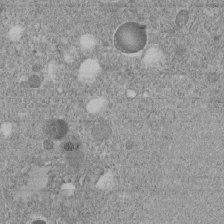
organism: C. elegans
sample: C. elegans embryo early stage